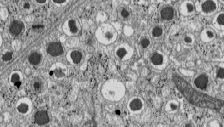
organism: C57BL Mouse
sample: Pancreatic islet